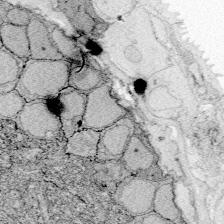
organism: Zebrafish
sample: Whole-Brain